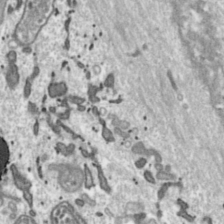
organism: Toxoplasma gondii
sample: Parasites in a vacuole inside a host cell